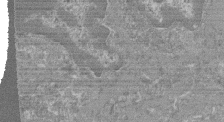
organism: Mouse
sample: Glomerulus